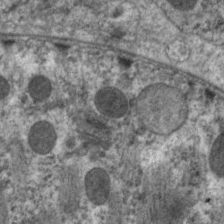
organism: C. elegans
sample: Pharynx